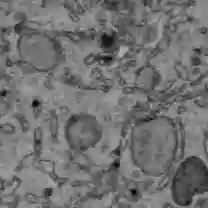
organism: C57BL Mouse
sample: Liver